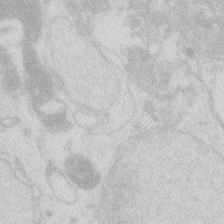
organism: Zebrafish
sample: Macrophage